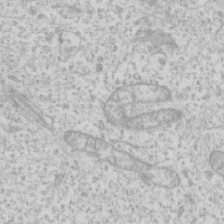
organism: Human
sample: Fibroblast cells